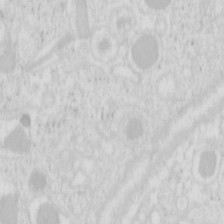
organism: Mouse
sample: Pancreas